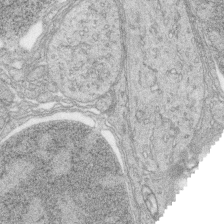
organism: Zebrafish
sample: synaptic ribbons in rod cells and cone cells